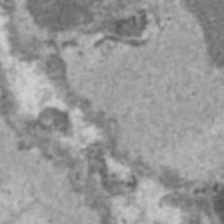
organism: C57BL Mouse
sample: Heart